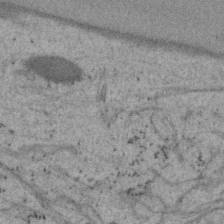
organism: Human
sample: HeLa cells